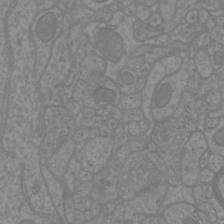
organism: Mouse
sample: Cortical neurons